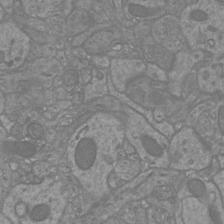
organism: Mouse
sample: Cortical neurons